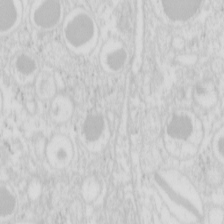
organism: Mouse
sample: Pancreas